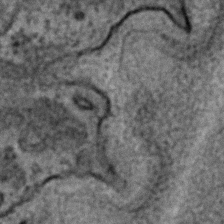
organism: C. elegans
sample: C. elegans embryo